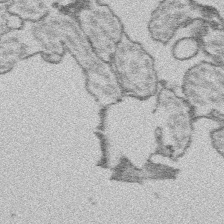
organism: Platynereis dumerilii